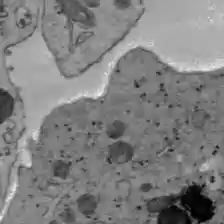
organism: C57BL Mouse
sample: Liver